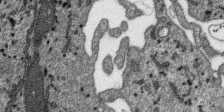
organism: Human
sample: Lung epithelial cells infected with SARS-CoV-2